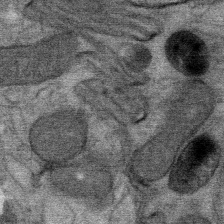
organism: Mouse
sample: Mouse Salivary gland